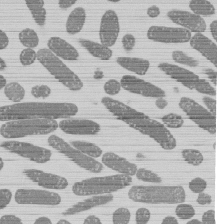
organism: E. coli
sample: Bacterial nucleoid